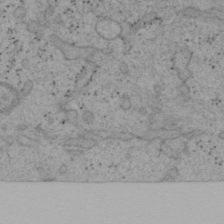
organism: Human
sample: HeLa cells